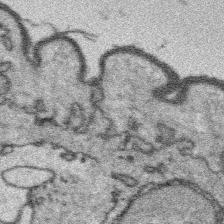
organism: Platynereis dumerilii